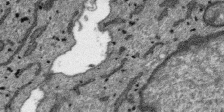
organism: Human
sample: Lung epithelial cells, uninfected (mock) control